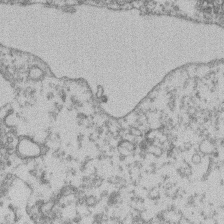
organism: Mouse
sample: T cell stromal cell synapse